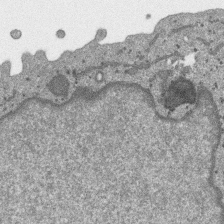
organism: Human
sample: Lung epithelial cells infected with SARS-CoV-2